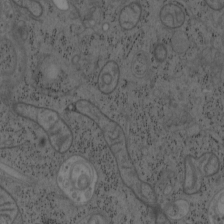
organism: Mouse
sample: OT-I killer T cells with ID8 ovarian cancer cells